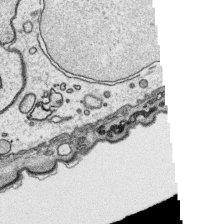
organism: Platynereis dumerilii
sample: Parapodia